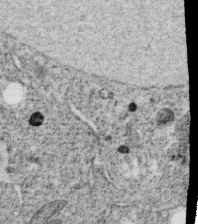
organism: C. elegans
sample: C. elegans oocyte; sperm cells